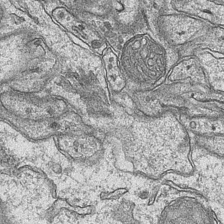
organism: Mouse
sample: CA1 Hippocampus